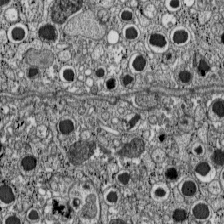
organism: C57BL Mouse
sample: Pancreatic islet